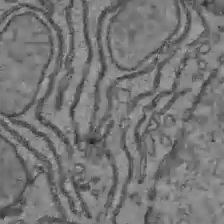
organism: C57BL Mouse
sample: Liver